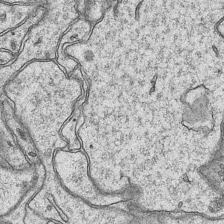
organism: Mouse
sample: CA1 Hippocampus